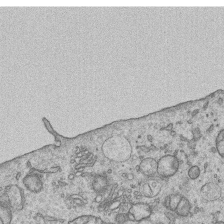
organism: Human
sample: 1205lu cells